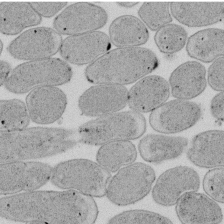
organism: E. coli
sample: Bacterial nucleoid